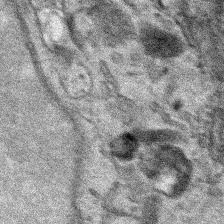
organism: Human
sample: Mitochondria in HCT116 cells